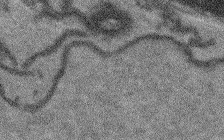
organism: Arabidopsis thaliana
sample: Root tip